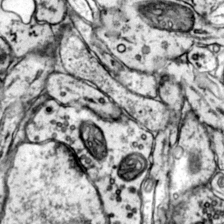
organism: Mouse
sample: Primary visual cortex